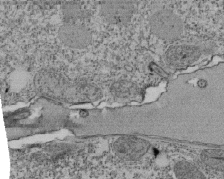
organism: Tetrahymena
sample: Cilia in tetrahymena